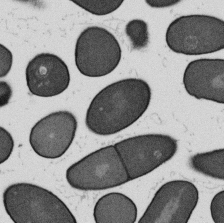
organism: B. subtilis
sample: Bacterial spore